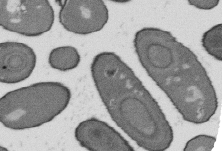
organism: B. subtilis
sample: Bacterial spore